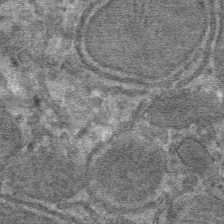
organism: Mouse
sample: Mouse hepatocytes